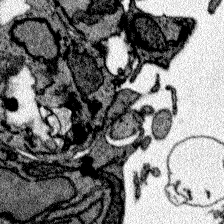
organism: Zebrafish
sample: Larval olfactory bulb